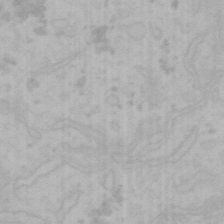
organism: Mouse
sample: Choroid plexus